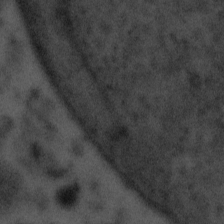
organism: Tuwongella immobilis